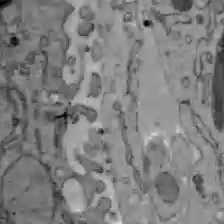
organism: C57BL Mouse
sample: Liver